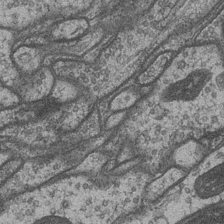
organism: Drosophila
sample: Optic medulla